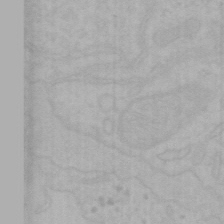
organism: Mouse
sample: Choroid plexus